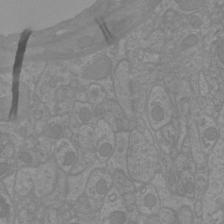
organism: Mouse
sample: Cortical neurons